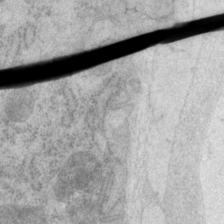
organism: P. pacificus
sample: Pharynx